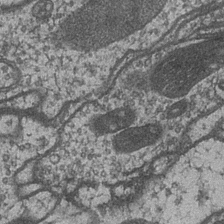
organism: Drosophila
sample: Optic medulla